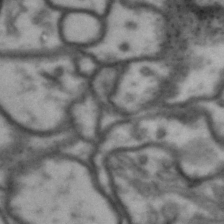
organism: Drosophila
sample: Brain